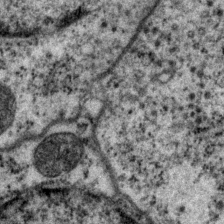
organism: P. pacificus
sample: Pharynx